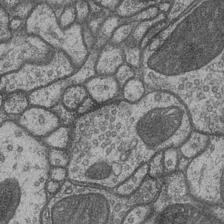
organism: Drosophila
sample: Optic medulla